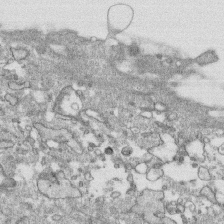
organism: Human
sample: CRL-1474